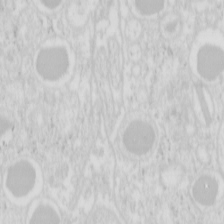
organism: Mouse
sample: Pancreas